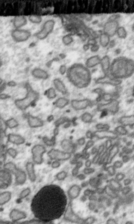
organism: Toxoplasma gondii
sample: Parasites in a vacuole inside a host cell